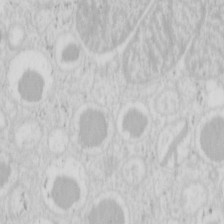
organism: Mouse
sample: Pancreas